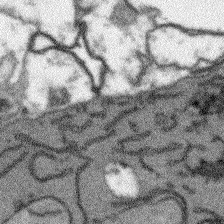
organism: Arabidopsis thaliana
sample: Root tip